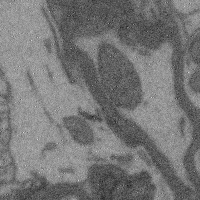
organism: Mouse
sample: Cerebral cortex